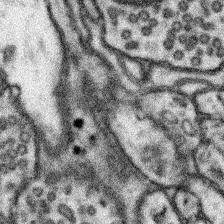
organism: Mouse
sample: Somatosensory cortex neuropil